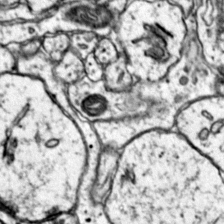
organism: Mouse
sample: Primary visual cortex